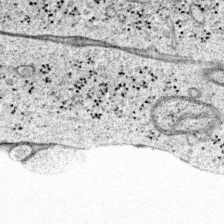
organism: Human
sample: HeLa cells